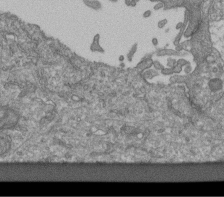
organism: Human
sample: Retinal organoid Rod and Cone cells